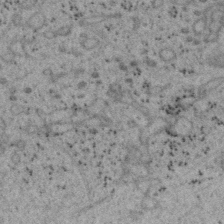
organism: Human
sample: HeLa cells